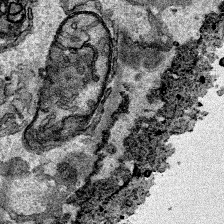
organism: Human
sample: Mitochondria in HCT116 cells